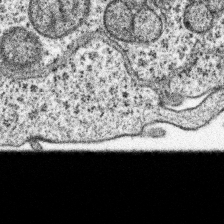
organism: Human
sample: HeLa cells